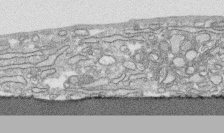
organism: Human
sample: CRL-1474